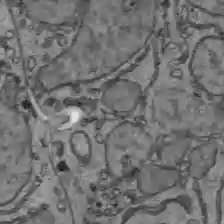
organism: C57BL Mouse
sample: Liver